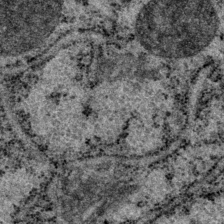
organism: P. pacificus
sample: Pharynx